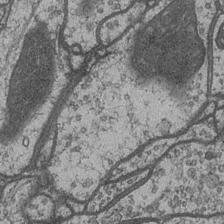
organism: Drosophila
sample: Optic medulla